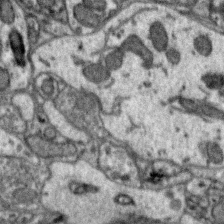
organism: Zebra finch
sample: Brain